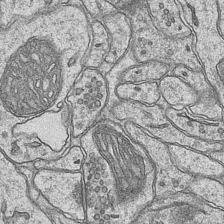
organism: Mouse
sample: CA1 Hippocampus